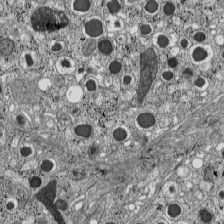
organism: C57BL Mouse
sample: Pancreatic islet